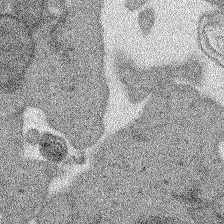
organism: Human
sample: HeLa cells